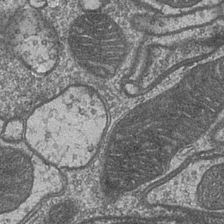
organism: Drosophila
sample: Optic medulla